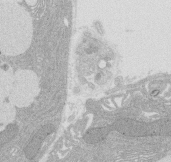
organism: Rat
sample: Salivary granule